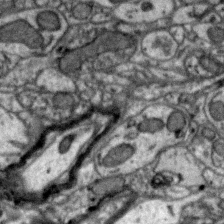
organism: Zebra finch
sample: Brain